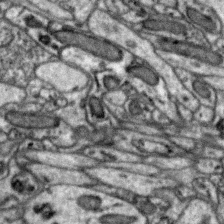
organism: Zebra finch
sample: Brain